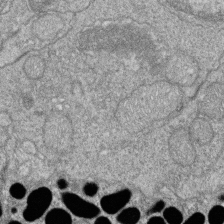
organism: Zebrafish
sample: Cilia; retinal pigment epithelium